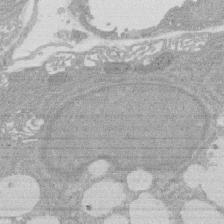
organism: Rat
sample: Salivary granule